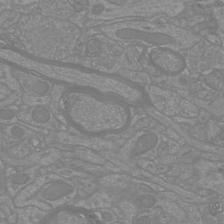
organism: Mouse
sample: Cortical neurons